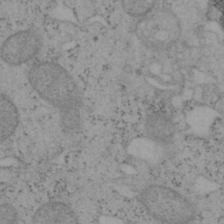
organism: Mouse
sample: OT-I killer T cells with ID8 ovarian cancer cells